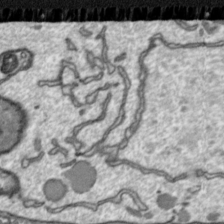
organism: Toxoplasma gondii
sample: Parasites in a vacuole inside a host cell